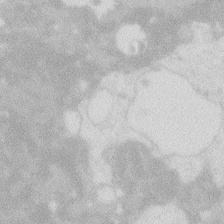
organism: Zebrafish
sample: Macrophage